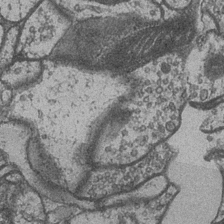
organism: Drosophila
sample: Optic medulla